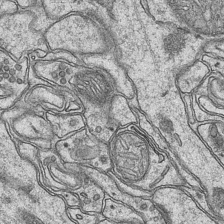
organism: Mouse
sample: CA1 Hippocampus